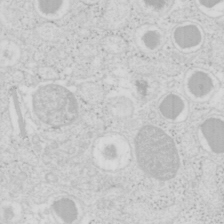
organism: Mouse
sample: Pancreas